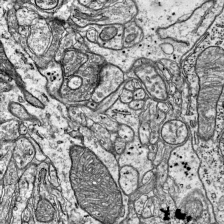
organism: Mouse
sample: Visual Cortex